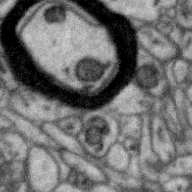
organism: Zebra finch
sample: Brain